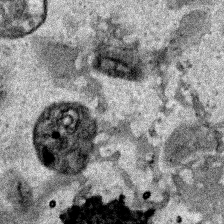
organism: Human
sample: Mitochondria in HCT116 cells